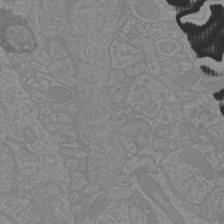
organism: Mouse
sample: Cortical neurons